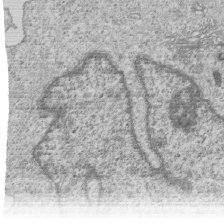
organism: Human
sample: MDA-MB-231 cells